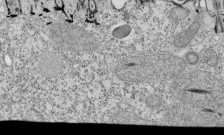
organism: Tetrahymena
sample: Cilia in tetrahymena